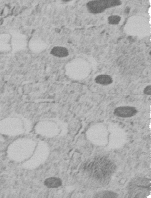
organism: C. elegans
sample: C. elegans embryo early stage